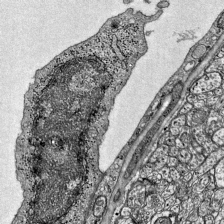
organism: Mouse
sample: Visual Cortex